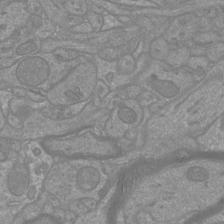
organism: Mouse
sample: Cortical neurons